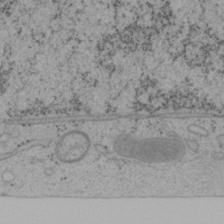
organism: Human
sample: HeLa cells